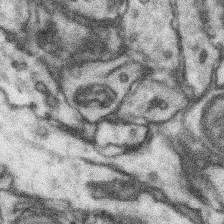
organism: Mouse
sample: Somatosensory cortex neuropil